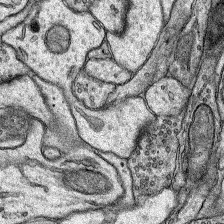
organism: Rat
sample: Hippocampus